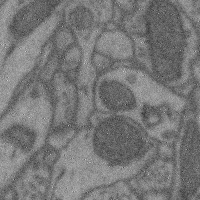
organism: Mouse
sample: Cerebral cortex